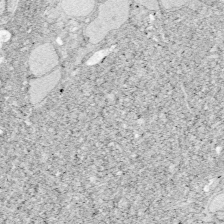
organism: Zebrafish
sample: Whole-Brain